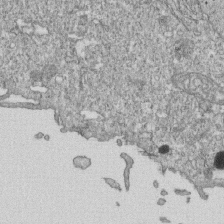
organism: Human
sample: HeLa cell HIV synapse